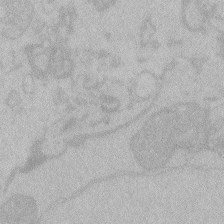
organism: Zebrafish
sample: Macrophage infected with Toxoplasma gondii